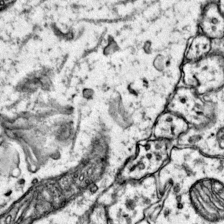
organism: Mouse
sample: Primary visual cortex